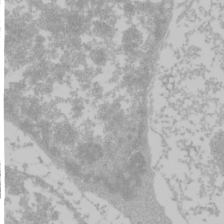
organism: Mouse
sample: Cancer cell death in ED-1 cells